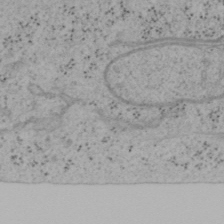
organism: Human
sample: HeLa cells